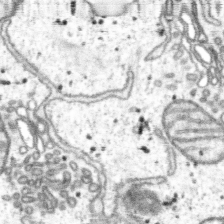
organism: Human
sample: HeLa cells